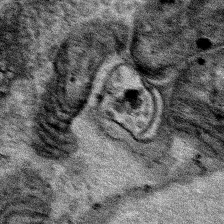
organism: Human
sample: Mitochondria in HCT116 cells